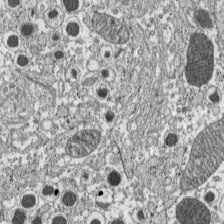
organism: C57BL Mouse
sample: Pancreatic islet